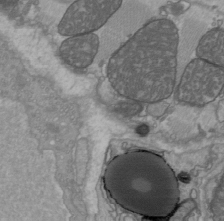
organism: C57BL Mouse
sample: Heart